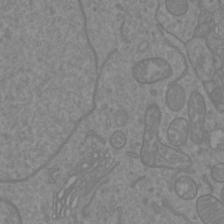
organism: Mouse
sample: Cortical neurons